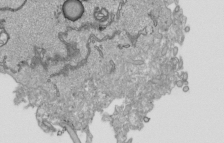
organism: Human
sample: Mitochondria in HCT116 cells